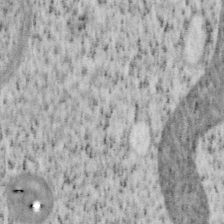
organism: Mouse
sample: OT-I killer T cells with ID8 ovarian cancer cells